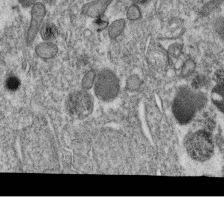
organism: C. elegans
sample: C. elegans oocyte; sperm cells